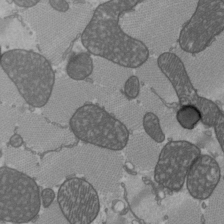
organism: C57BL Mouse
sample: Heart